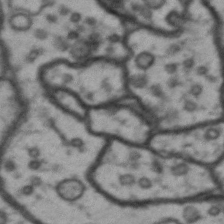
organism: Drosophila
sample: Brain